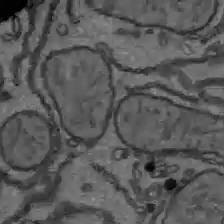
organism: C57BL Mouse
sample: Liver